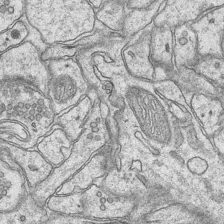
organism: Mouse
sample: CA1 Hippocampus